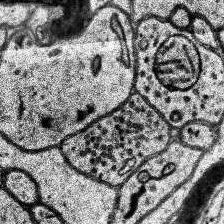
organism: Human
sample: Temporal Lobe